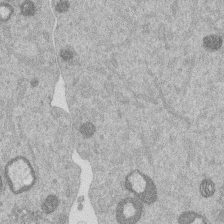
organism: Mouse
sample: Dividing mouse embryo 1 cell stage